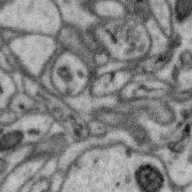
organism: Zebra finch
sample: Brain